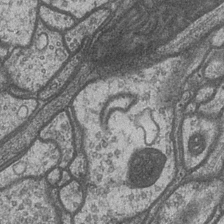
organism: Drosophila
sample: Optic medulla